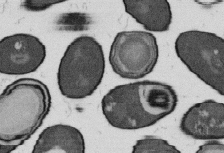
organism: B. subtilis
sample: Bacterial spore